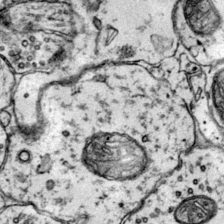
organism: Mouse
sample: Primary visual cortex